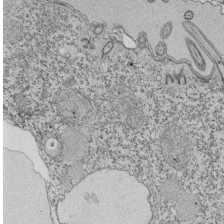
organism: Tetrahymena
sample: Cilia in tetrahymena